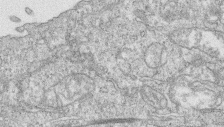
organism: Human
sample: HeLa cell HIV synapse